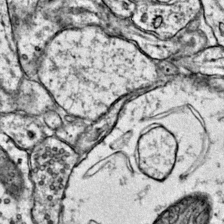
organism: Mouse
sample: Primary visual cortex